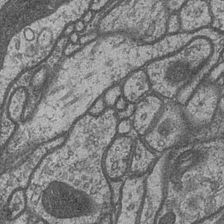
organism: Drosophila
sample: Optic medulla